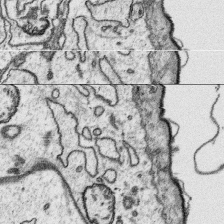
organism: Platynereis dumerilii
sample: Parapodia